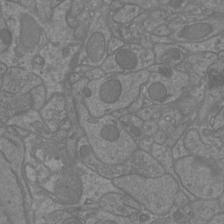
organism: Mouse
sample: Cortical neurons